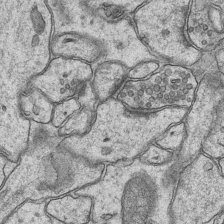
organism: Mouse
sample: CA1 Hippocampus